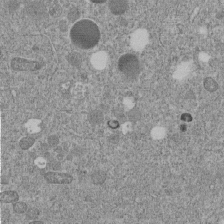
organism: C. elegans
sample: C. elegans embryo early stage